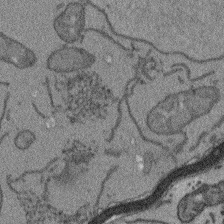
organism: Arabidopsis thaliana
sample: Root tip